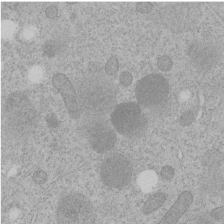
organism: C. elegans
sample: C. elegans embryo early stage